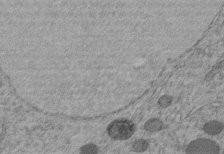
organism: C. elegans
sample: C. elegans embryo early stage